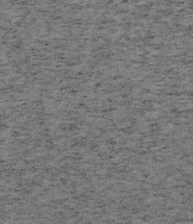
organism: Mouse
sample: OT-I killer T cells with ID8 ovarian cancer cells